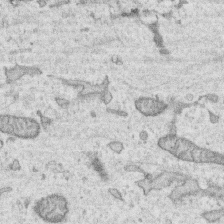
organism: Human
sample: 1205lu cells